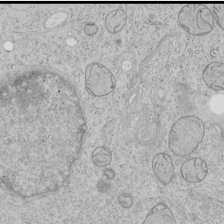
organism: Human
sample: Mitochondria in HCT116 cells